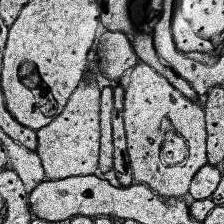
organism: Human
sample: Temporal Lobe